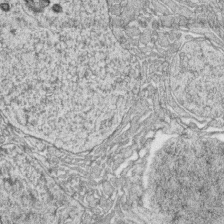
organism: Zebrafish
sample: synaptic ribbons in rod cells and cone cells